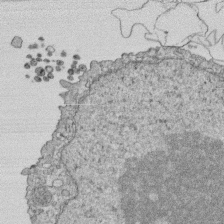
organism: Human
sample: HeLa cell HIV synapse